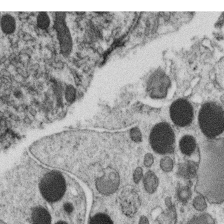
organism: C. elegans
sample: C. elegans oocyte; sperm cells